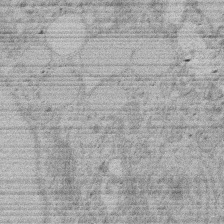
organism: Rat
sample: Salivary granule